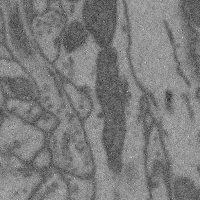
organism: Mouse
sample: Cerebral cortex